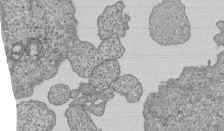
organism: Human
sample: MDA-MB-231 cells